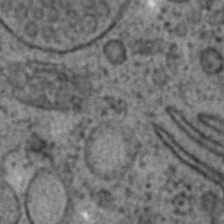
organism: C. elegans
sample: C. elegans embryo